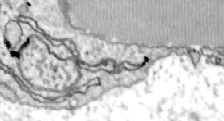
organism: Zebrafish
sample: Actinotrichia fibers